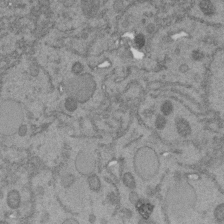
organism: C. elegans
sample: C. elegans embryo early stage